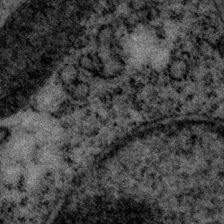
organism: P. pacificus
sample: Pharynx